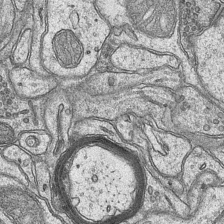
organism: Mouse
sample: CA1 Hippocampus